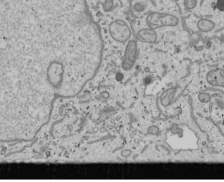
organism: Human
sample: Mitochondria in U2OS cells